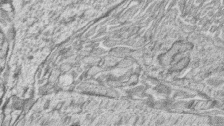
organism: Zebrafish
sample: synaptic ribbons in rod cells and cone cells